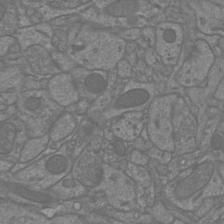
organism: Mouse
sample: Cortical neurons